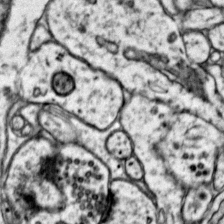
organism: Mouse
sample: Primary visual cortex